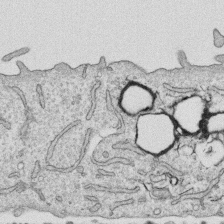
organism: Human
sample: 1205lu cells